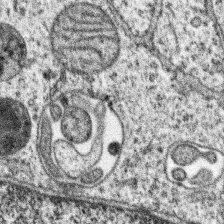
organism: Human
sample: HeLa cells